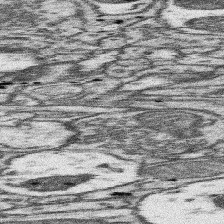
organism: Mouse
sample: Somatosensory cortex neuropil